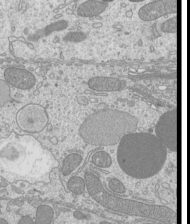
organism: Mouse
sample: Cilia; mouse epididymis